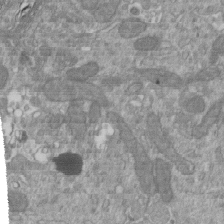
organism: Mouse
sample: ED-1 cell nuclei; centrioles